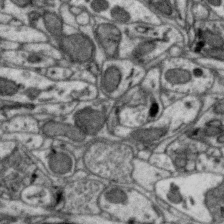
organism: Zebra finch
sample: Brain